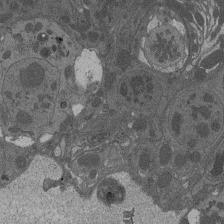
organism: Drosophila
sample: Antenna